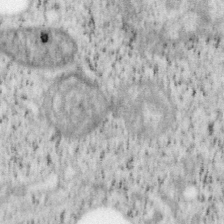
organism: Mouse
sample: OT-I killer T cells with ID8 ovarian cancer cells